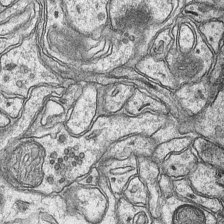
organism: Mouse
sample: CA1 Hippocampus